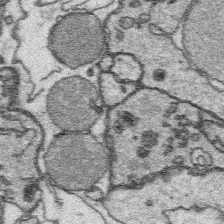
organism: Platynereis dumerilii